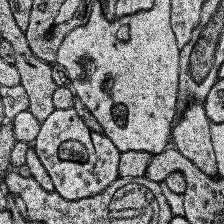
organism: Human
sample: Temporal Lobe